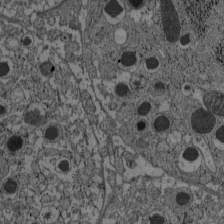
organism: C57BL Mouse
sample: Pancreatic islet